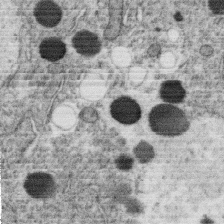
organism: C. elegans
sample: C. elegans oocyte; sperm cells